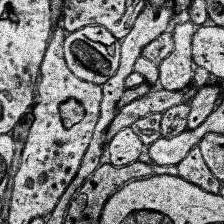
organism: Human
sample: Temporal Lobe